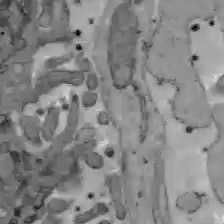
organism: C57BL Mouse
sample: Liver